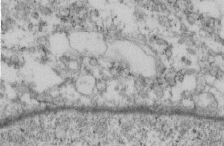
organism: Mouse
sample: Cilia; retinal pigment epithelium